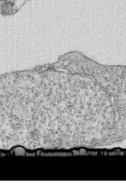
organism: Human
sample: HeLa cell HIV synapse